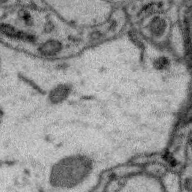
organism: Zebra finch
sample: Brain